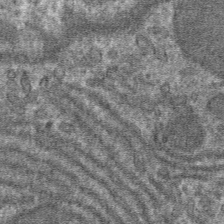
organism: Mouse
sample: Mouse hepatocytes